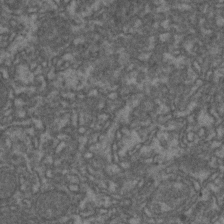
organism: Zebrafish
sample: Zebrafish embryo